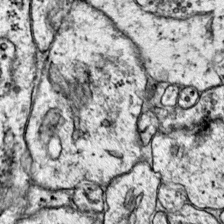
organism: Mouse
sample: Primary visual cortex